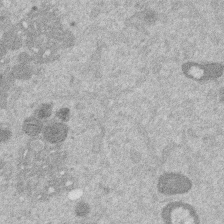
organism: Mouse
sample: Dividing mouse embryo 1 cell stage